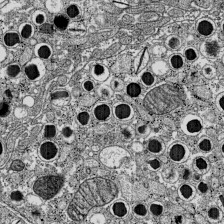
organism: C57BL Mouse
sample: Pancreatic islet